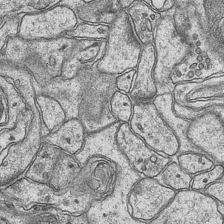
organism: Mouse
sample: CA1 Hippocampus